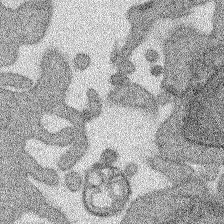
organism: Human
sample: HeLa cells